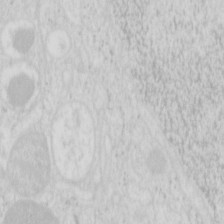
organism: Mouse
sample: Pancreas